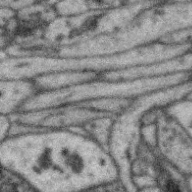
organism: Zebra finch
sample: Brain